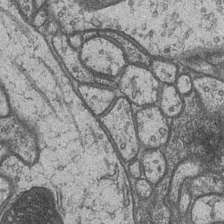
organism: Drosophila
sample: Optic medulla